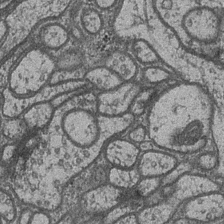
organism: Drosophila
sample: Optic medulla